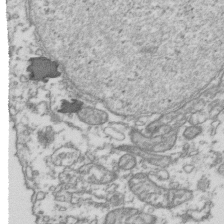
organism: Human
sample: Activated Jurkat CD4+ T cells